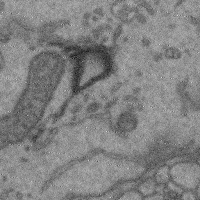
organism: Mouse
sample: Cerebral cortex